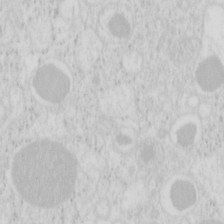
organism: Mouse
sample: Pancreas